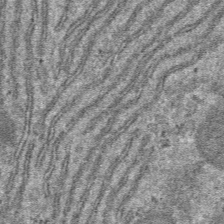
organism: Mouse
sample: Mouse hepatocytes